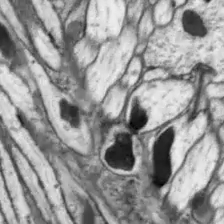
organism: Drosophila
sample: Optic lobe